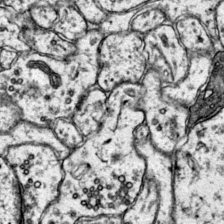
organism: Mouse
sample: Primary visual cortex